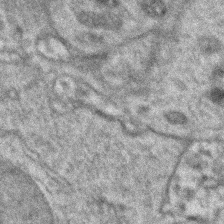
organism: Zebrafish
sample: Zebrafish embryo